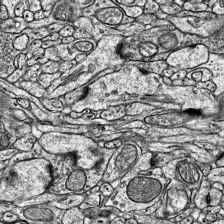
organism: Mouse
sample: Visual Cortex